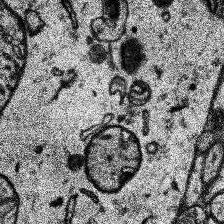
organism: Human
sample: Temporal Lobe